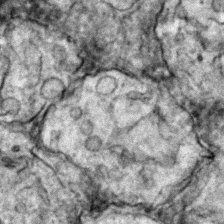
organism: Zebrafish